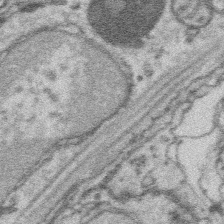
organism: Platynereis dumerilii